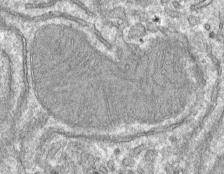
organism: Mouse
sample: Mouse hepatocytes